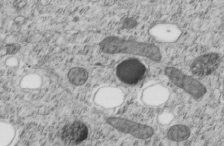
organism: C. elegans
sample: C. elegans embryo early stage